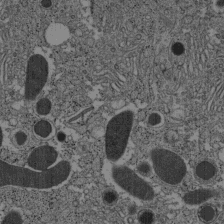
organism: C57BL Mouse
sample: Pancreatic islet